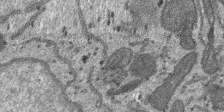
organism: Human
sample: Lung epithelial cells infected with SARS-CoV-2